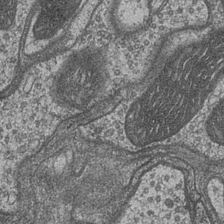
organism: Drosophila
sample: Optic medulla